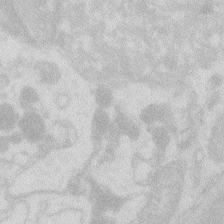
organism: Zebrafish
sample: Macrophage